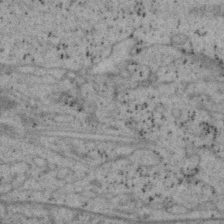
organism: Human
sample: HeLa cells